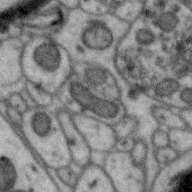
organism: Zebra finch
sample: Brain